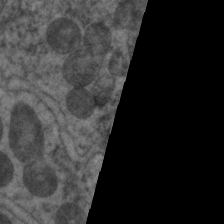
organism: C. elegans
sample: Pharynx